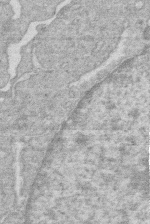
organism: Human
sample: Macrophage cells